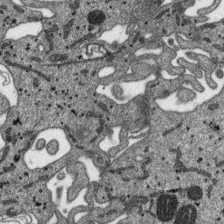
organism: Human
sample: Lung epithelial cells infected with SARS-CoV-2